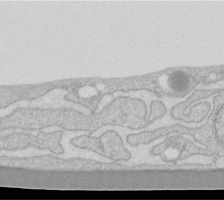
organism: Human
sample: Fibroblast cells